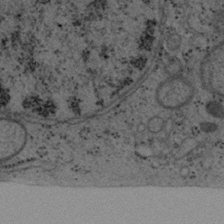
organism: Human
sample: HeLa cells